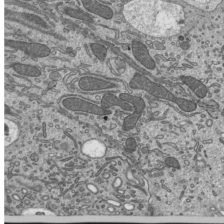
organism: Mouse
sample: Mouse epididymis efferent ductule cilia